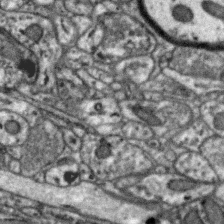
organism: Zebra finch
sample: Brain